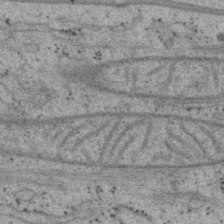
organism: Human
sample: HeLa cells